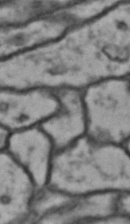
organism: Drosophila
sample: Brain